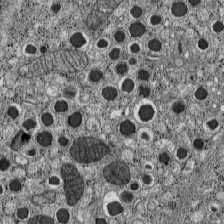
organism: C57BL Mouse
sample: Pancreatic islet